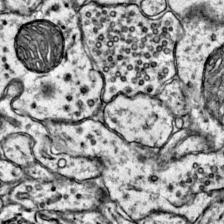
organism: Mouse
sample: Primary visual cortex